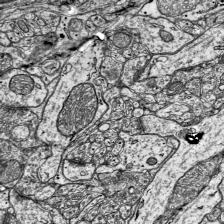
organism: Mouse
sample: Visual Cortex